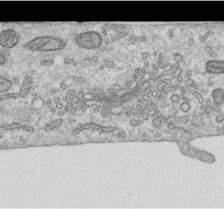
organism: Human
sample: Centriole in RPE cells